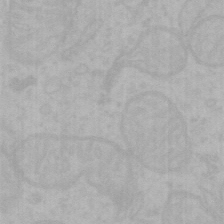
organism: Mouse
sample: Choroid plexus